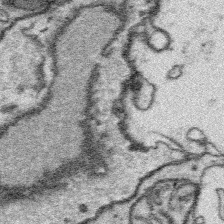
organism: Platynereis dumerilii